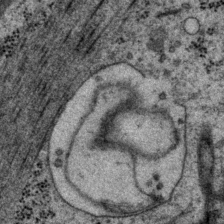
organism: P. pacificus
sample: Pharynx